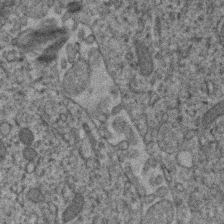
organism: Human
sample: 1205lu cells